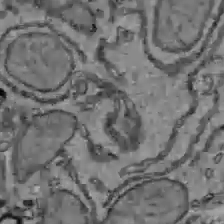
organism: C57BL Mouse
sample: Liver